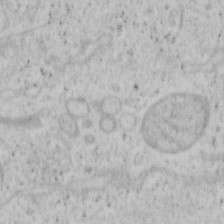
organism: Human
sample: HeLa cells